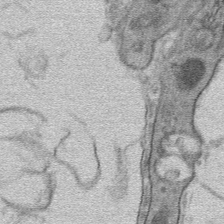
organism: Mouse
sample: Mouse hepatocytes